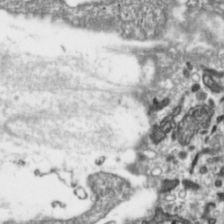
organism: Toxoplasma gondii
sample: Parasites in a vacuole inside a host cell